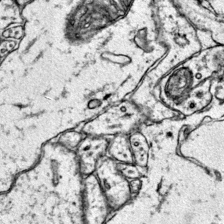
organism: Mouse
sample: Primary visual cortex